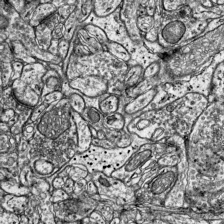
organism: Mouse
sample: Visual Cortex